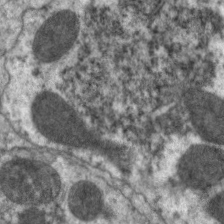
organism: C. elegans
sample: Pharynx